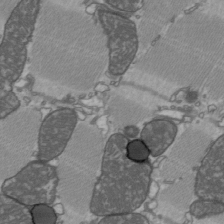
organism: C57BL Mouse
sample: Heart